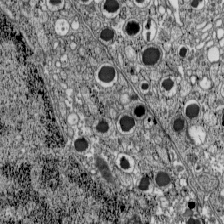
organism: C57BL Mouse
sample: Pancreatic islet